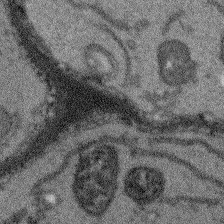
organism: Arabidopsis thaliana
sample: Root tip